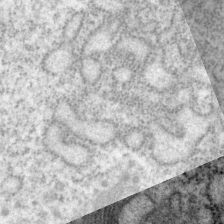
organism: P. pacificus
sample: Pharynx